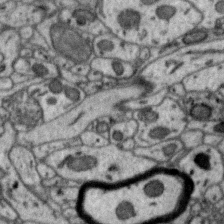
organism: Zebra finch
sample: Brain